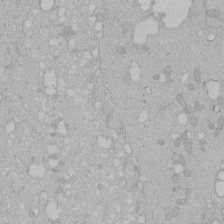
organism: Human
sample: Melanocyte Keratinocyte synapse skin construct